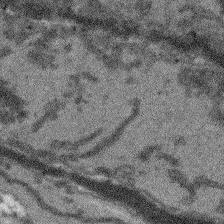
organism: Arabidopsis thaliana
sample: Root tip